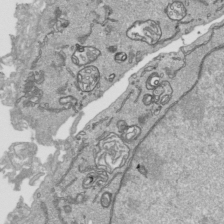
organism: Human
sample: Mitochondria in HCT116 cells